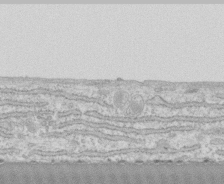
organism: Human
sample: CRL-1474